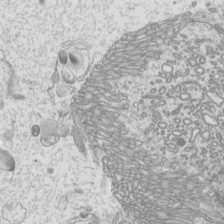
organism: Mouse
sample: Cilia; mouse epididymis